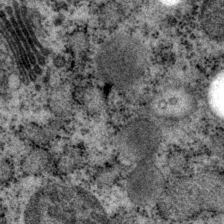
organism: P. pacificus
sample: Pharynx